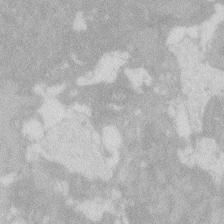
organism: Zebrafish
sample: Macrophage